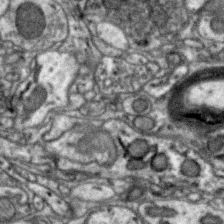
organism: Zebra finch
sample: Brain